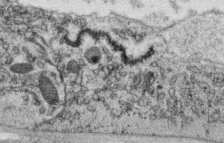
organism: C. elegans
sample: C. elegans oocyte; sperm cells